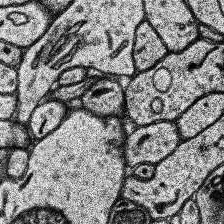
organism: Human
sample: Temporal Lobe